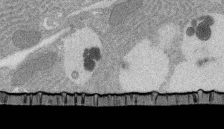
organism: Rat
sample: Salivary granule